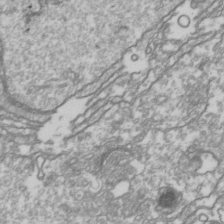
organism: Drosophila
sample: Cell division; meiosis; drosophila spermatocytes